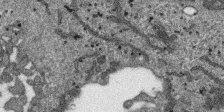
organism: Human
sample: Lung epithelial cells infected with SARS-CoV-2